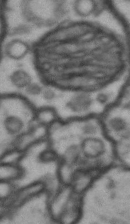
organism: Drosophila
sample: Brain